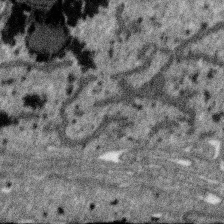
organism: Human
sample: Lung epithelial cells infected with SARS-CoV-2